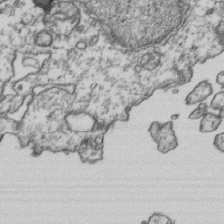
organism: Human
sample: Activated Jurkat CD4+ T cells